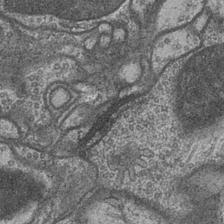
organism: Drosophila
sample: Optic medulla